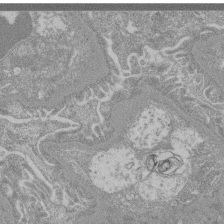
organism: Mouse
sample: Glomerulus